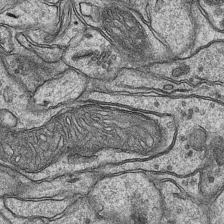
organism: Mouse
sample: CA1 Hippocampus